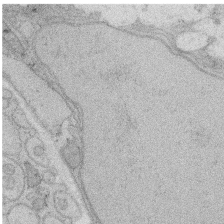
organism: Rat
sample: Salivary granule